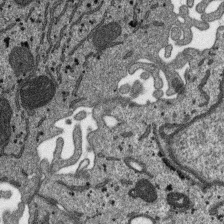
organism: Human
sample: Lung epithelial cells infected with SARS-CoV-2